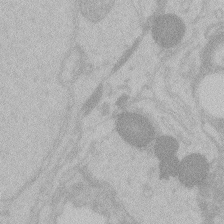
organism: Zebrafish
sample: Macrophage infected with Toxoplasma gondii